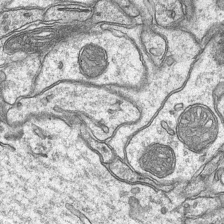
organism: Mouse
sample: CA1 Hippocampus